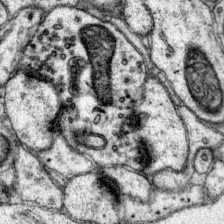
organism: Mouse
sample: Primary visual cortex